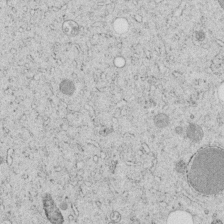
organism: C. elegans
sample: C. elegans embryo early stage